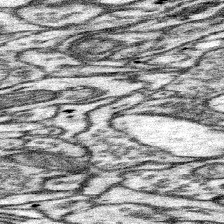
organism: Mouse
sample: Somatosensory cortex neuropil